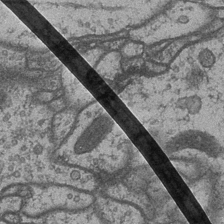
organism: Drosophila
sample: Optic medulla